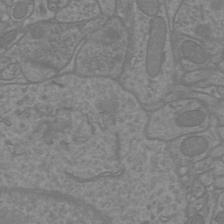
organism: Mouse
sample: Cortical neurons